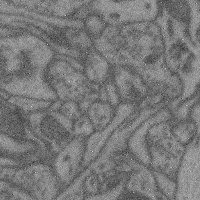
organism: Mouse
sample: Cerebral cortex